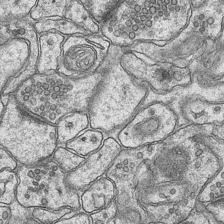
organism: Mouse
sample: CA1 Hippocampus